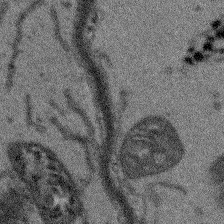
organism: Arabidopsis thaliana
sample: Root tip